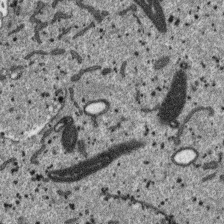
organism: Human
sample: Lung epithelial cells infected with SARS-CoV-2